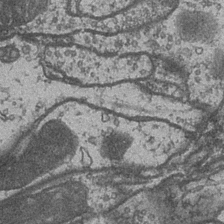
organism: Drosophila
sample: Optic medulla